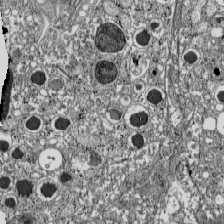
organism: C57BL Mouse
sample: Pancreatic islet